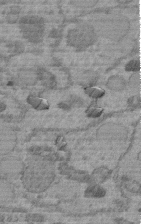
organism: C. elegans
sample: C. elegans embryo early stage